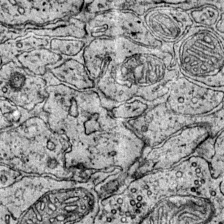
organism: Mouse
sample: Primary visual cortex